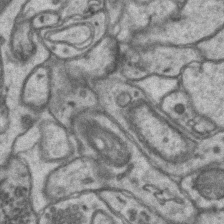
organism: Mouse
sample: CA1 Hippocampus